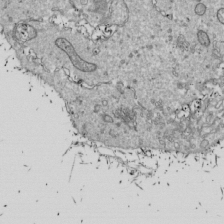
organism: Drosophila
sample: Cell division; meiosis; drosophila spermatocytes